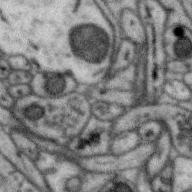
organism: Zebra finch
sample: Brain